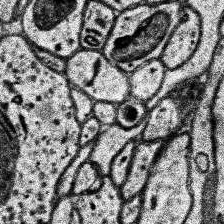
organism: Human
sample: Temporal Lobe